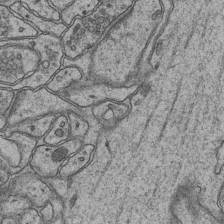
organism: Mouse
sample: CA1 Hippocampus